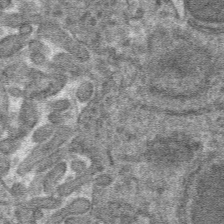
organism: Mouse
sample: Mouse hepatocytes